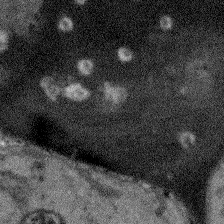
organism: Arabidopsis thaliana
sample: Root tip